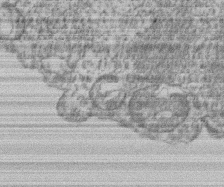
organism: Mouse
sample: T cell stromal cell synapse